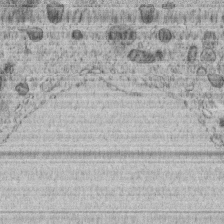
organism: C. elegans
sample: C. elegans embryo early stage